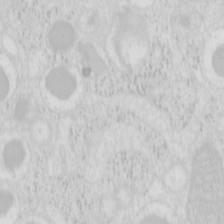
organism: Mouse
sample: Pancreas